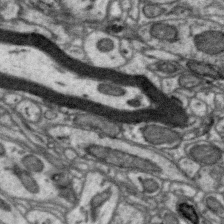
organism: Zebra finch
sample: Brain